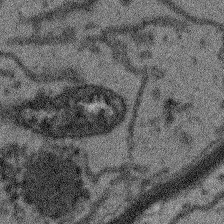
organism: Arabidopsis thaliana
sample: Root tip